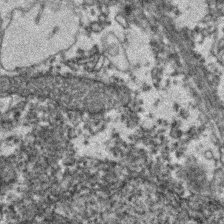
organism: Zebrafish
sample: Zebrafish embryo